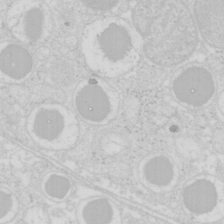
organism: Mouse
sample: Pancreas